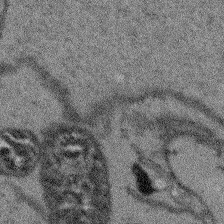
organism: Arabidopsis thaliana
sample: Root tip